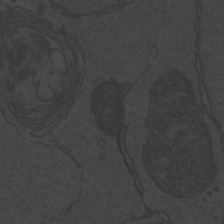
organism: Zebrafish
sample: Macrophage infected with Toxoplasma gondii